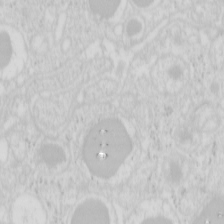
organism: Mouse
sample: Pancreas